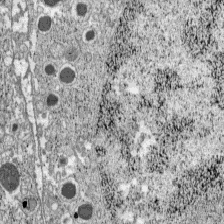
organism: C57BL Mouse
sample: Pancreatic islet